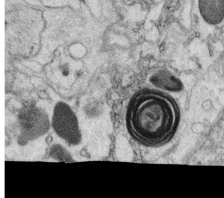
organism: C. elegans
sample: C. elegans oocyte; sperm cells